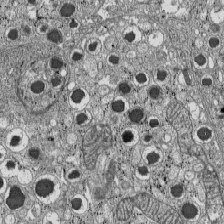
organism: C57BL Mouse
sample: Pancreatic islet